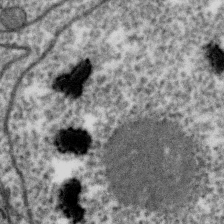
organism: Zebra finch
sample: Brain